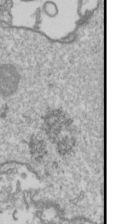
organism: Drosophila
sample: Cell division; meiosis; drosophila spermatocytes